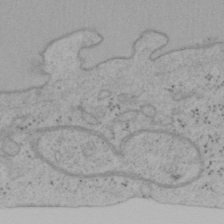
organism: Human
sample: HeLa cells